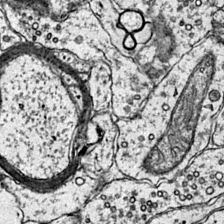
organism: Mouse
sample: Primary visual cortex